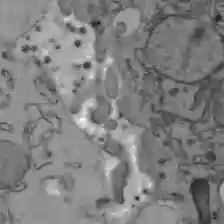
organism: C57BL Mouse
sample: Liver